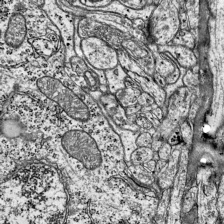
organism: Mouse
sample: Visual Cortex